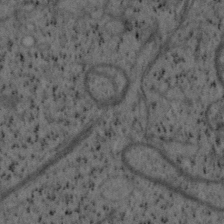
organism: Human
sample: HeLa cells